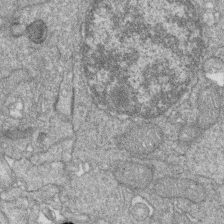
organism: Zebrafish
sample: Cilia; retinal pigment epithelium